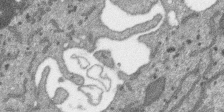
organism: Human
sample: Lung epithelial cells infected with SARS-CoV-2